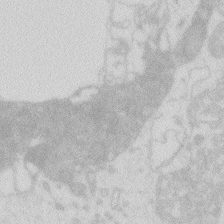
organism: Zebrafish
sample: Macrophage